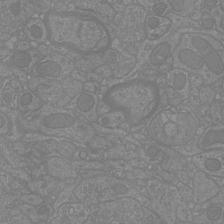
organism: Mouse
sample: Cortical neurons